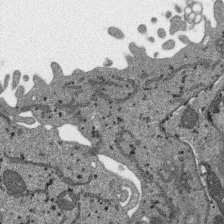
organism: Human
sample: Lung epithelial cells infected with SARS-CoV-2